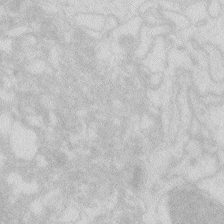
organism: Zebrafish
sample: Macrophage